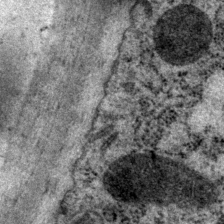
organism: P. pacificus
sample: Pharynx